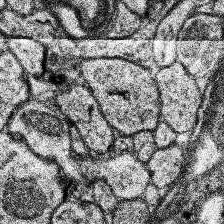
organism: Human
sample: Temporal Lobe